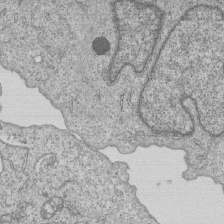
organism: Human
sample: MDA-MB-231 cells